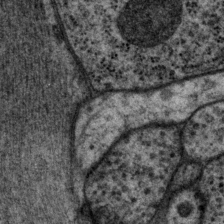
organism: P. pacificus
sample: Pharynx